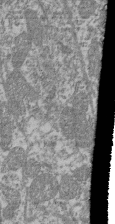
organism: Mouse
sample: Glomerulus